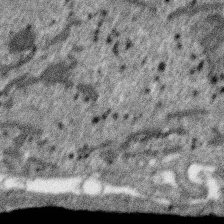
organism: Human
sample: Lung epithelial cells infected with SARS-CoV-2